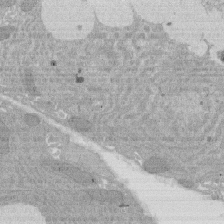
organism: Rat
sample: Salivary granule